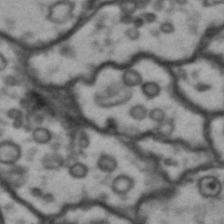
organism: Drosophila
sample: Brain